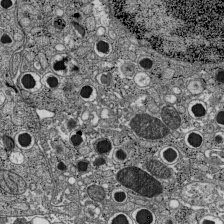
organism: C57BL Mouse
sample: Pancreatic islet